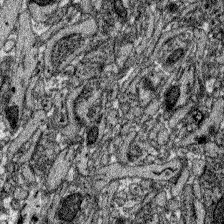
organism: Zebrafish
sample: Larval olfactory bulb